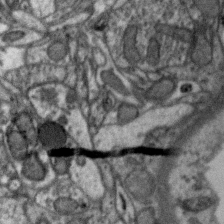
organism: Zebra finch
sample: Brain